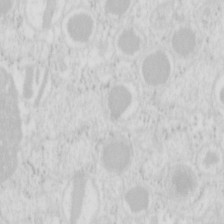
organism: Mouse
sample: Pancreas